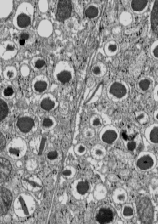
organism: C57BL Mouse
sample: Pancreatic islet